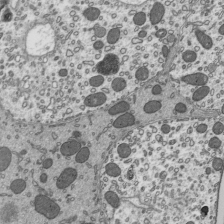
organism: Mouse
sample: Mouse epididymis efferent ductule cilia